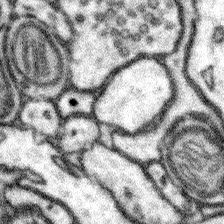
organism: Mouse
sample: Somatosensory cortex neuropil